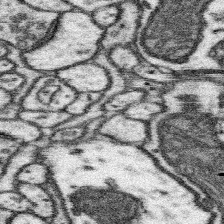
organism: Mouse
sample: Somatosensory cortex neuropil